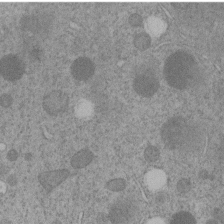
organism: C. elegans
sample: C. elegans embryo early stage